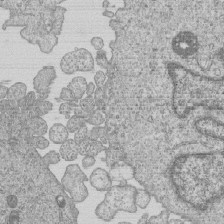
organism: Human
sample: MDA-MB-231 cells